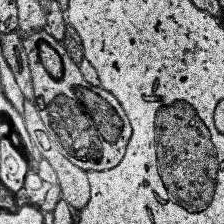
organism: Human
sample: Temporal Lobe